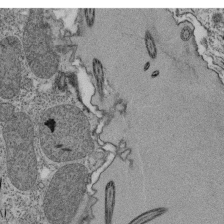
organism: Tetrahymena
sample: Cilia in tetrahymena